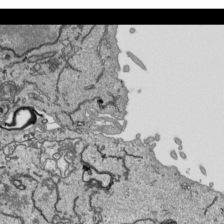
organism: Human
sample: Mitochondria in HCT116 cells